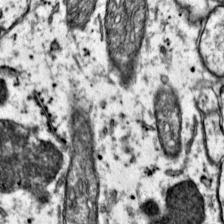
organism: Mouse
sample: Primary visual cortex